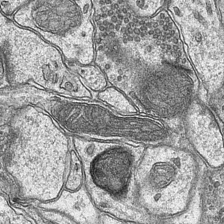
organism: Mouse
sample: CA1 Hippocampus